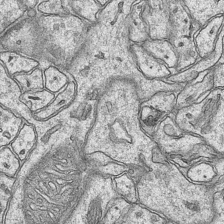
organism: Mouse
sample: CA1 Hippocampus